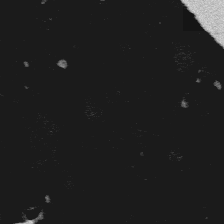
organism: Platynereis dumerilii